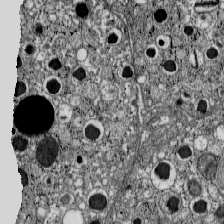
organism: C57BL Mouse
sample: Pancreatic islet